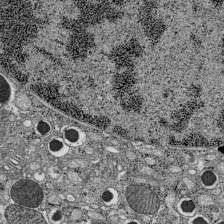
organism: C57BL Mouse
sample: Pancreatic islet